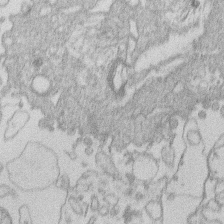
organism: Human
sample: Macrophage cells